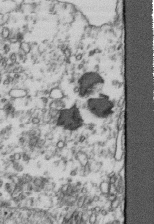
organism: Human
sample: Activated Jurkat CD4+ T cells